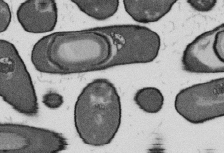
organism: B. subtilis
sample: Bacterial spore